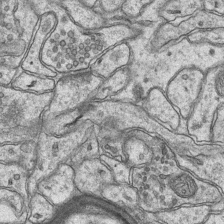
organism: Mouse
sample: CA1 Hippocampus